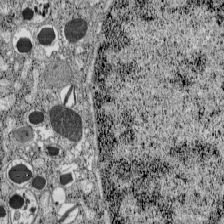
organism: C57BL Mouse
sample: Pancreatic islet